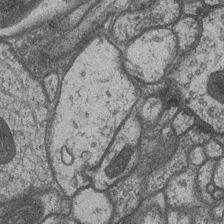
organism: Drosophila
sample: Optic medulla